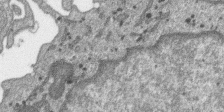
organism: Human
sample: Lung epithelial cells infected with SARS-CoV-2